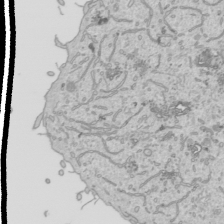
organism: Human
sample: Mitochondria in HCT116 cells